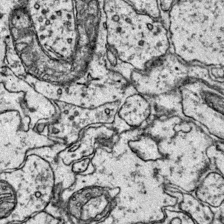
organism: Mouse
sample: Primary visual cortex